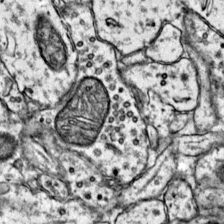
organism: Mouse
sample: Primary visual cortex